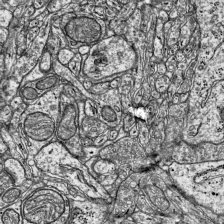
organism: Mouse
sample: Visual Cortex